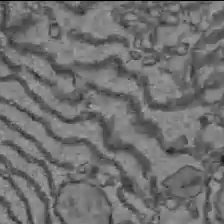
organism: C57BL Mouse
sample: Liver